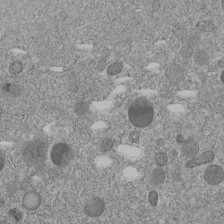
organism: C. elegans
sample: C. elegans embryo early stage